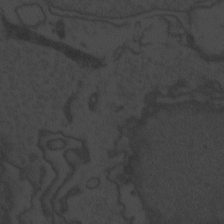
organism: Zebrafish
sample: Macrophage infected with Toxoplasma gondii